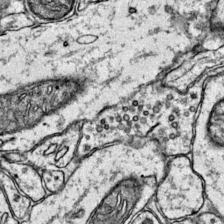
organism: Mouse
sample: Primary visual cortex